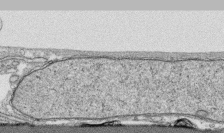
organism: Human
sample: CRL-1474